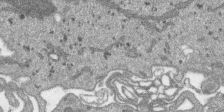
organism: Human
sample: Lung epithelial cells infected with SARS-CoV-2